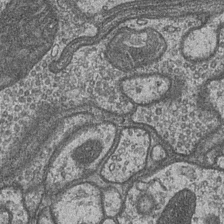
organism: Drosophila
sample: Optic medulla